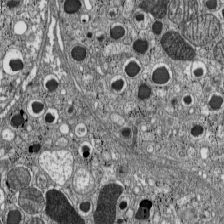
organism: C57BL Mouse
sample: Pancreatic islet